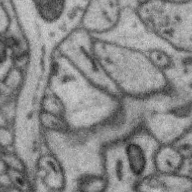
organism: Zebra finch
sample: Brain